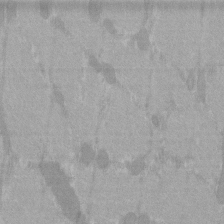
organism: C57BL Mouse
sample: Tibialis anterior muscle cell